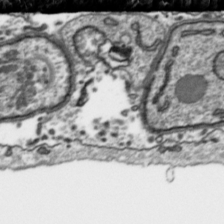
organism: Toxoplasma gondii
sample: Parasites in a vacuole inside a host cell